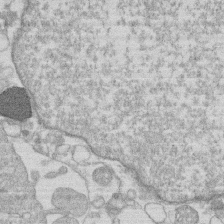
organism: Human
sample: Macrophage cells